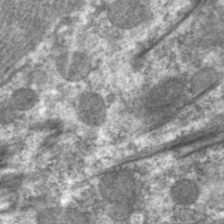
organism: C. elegans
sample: Pharynx